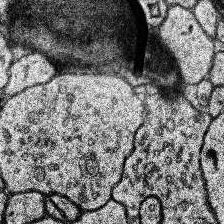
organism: Human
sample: Temporal Lobe